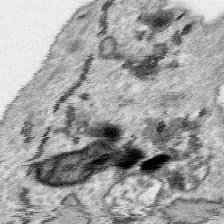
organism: Human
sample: HeLa cells